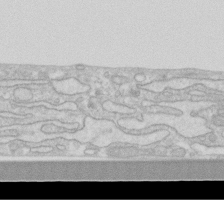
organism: Human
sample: Fibroblast cells